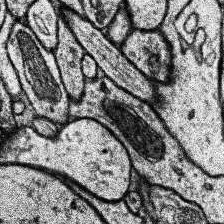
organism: Human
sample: Temporal Lobe